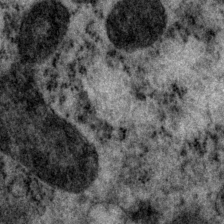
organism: P. pacificus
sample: Pharynx